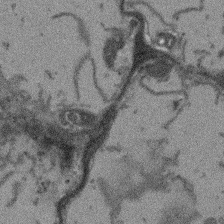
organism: Arabidopsis thaliana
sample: Root tip